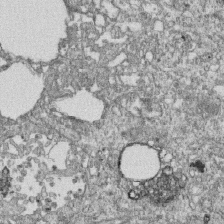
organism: Human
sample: HeLa cell HIV synapse